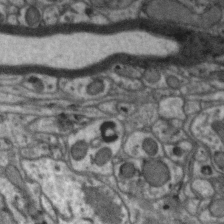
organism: Zebra finch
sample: Brain